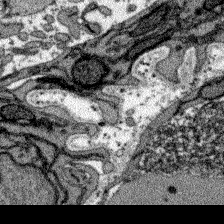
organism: Zebrafish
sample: Larval olfactory bulb